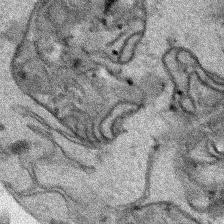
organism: Human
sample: Mitochondria in HCT116 cells